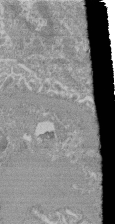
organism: Mouse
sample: Glomerulus